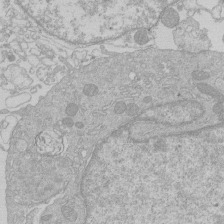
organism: Human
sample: Macrophage cells